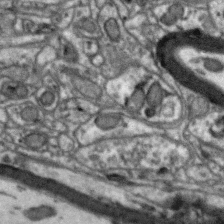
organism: Zebra finch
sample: Brain